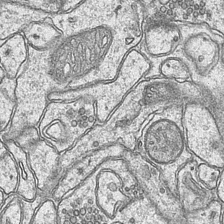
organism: Mouse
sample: CA1 Hippocampus